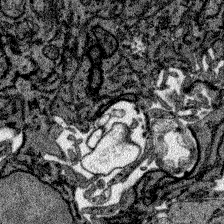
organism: Zebrafish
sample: Larval olfactory bulb